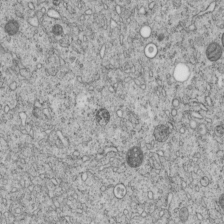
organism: C. elegans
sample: C. elegans embryo early stage